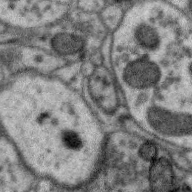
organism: Zebra finch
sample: Brain